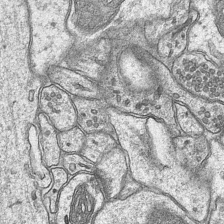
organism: Mouse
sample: CA1 Hippocampus